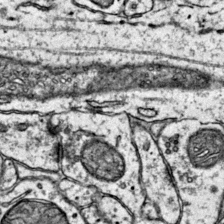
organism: Mouse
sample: Primary visual cortex